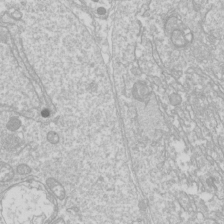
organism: Drosophila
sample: Cell division; meiosis; drosophila spermatocytes